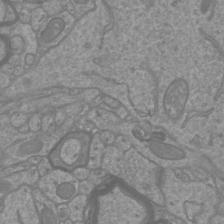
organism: Mouse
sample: Cortical neurons